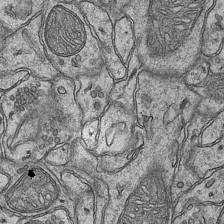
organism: Mouse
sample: CA1 Hippocampus